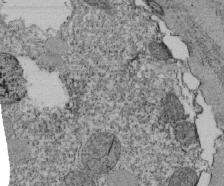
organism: Tetrahymena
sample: Cilia in tetrahymena